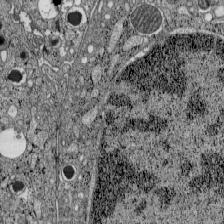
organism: C57BL Mouse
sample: Pancreatic islet